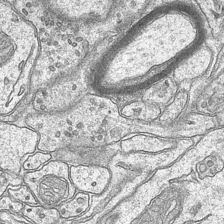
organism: Mouse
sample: CA1 Hippocampus